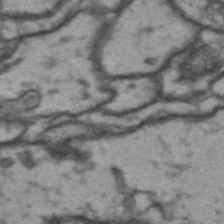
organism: Drosophila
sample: Brain